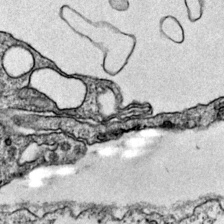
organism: Mouse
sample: Primary visual cortex